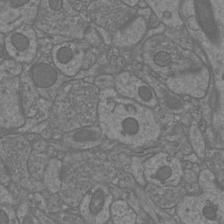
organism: Mouse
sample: Cortical neurons